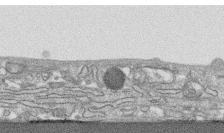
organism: Human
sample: CRL-1474